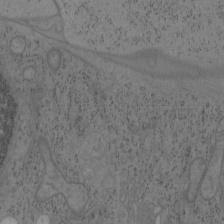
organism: Mouse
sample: OT-I killer T cells with ID8 ovarian cancer cells